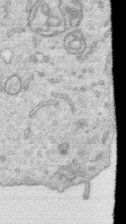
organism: Human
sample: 1205lu cells